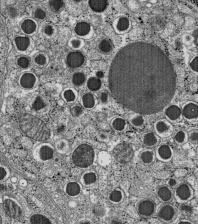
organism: C57BL Mouse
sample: Pancreatic islet